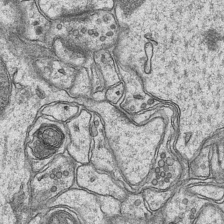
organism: Mouse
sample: CA1 Hippocampus